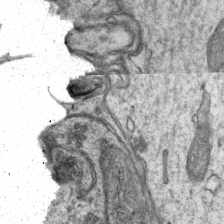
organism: Mouse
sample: CA1 Hippocampus